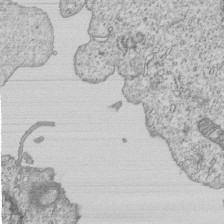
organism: Human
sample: MDA-MB-231 cells